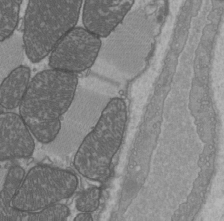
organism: C57BL Mouse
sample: Heart